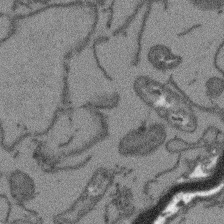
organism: Arabidopsis thaliana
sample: Root tip